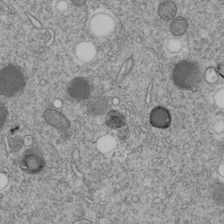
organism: C. elegans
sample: C. elegans embryo early stage